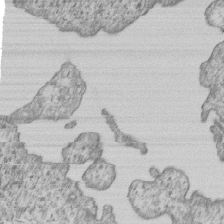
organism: Human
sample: MDA-MB-231 cells